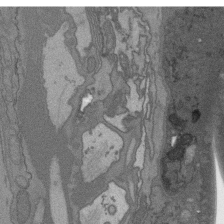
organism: C. elegans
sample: AFD neurons C. elegans